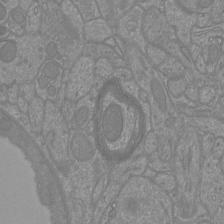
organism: Mouse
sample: Cortical neurons